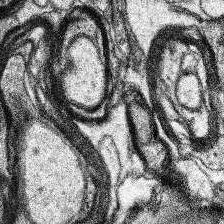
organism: Human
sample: Temporal Lobe